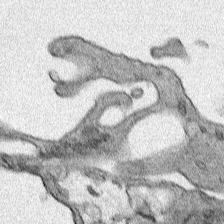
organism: Human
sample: Mitochondria in HCT116 cells